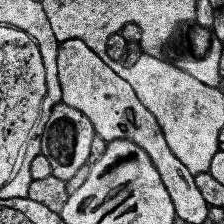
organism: Human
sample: Temporal Lobe